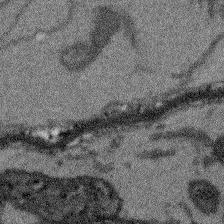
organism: Arabidopsis thaliana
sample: Root tip